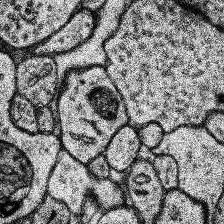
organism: Human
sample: Temporal Lobe